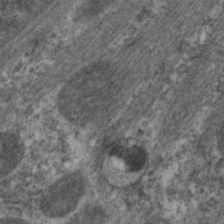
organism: C. elegans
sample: Pharynx